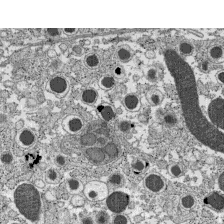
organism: C57BL Mouse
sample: Pancreatic islet